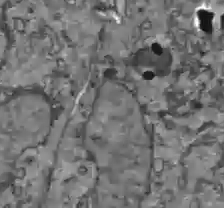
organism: C57BL Mouse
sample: Liver